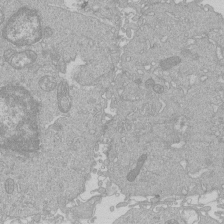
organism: Human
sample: Macrophage cells